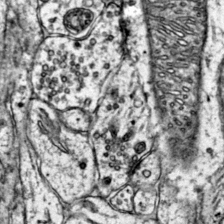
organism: Mouse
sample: Primary visual cortex